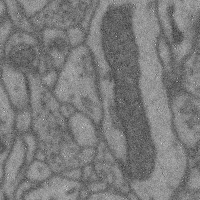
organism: Mouse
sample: Cerebral cortex